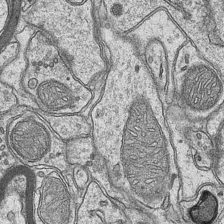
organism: Mouse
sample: CA1 Hippocampus